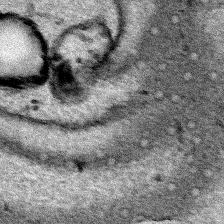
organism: Human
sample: Mitochondria in HCT116 cells